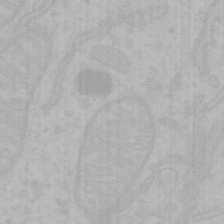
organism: Mouse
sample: Choroid plexus